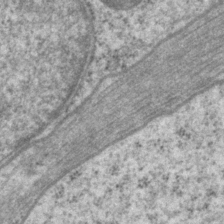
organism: P. pacificus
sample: Pharynx